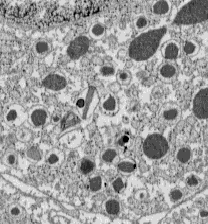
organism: C57BL Mouse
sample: Pancreatic islet